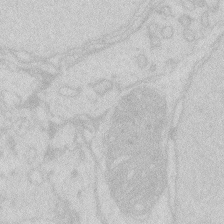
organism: Zebrafish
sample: Macrophage